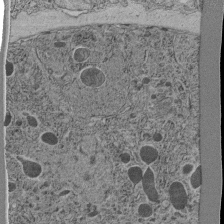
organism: C. elegans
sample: C. elegans pharynx